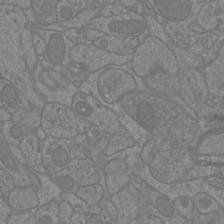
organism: Mouse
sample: Cortical neurons